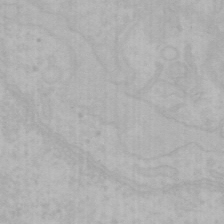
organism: Mouse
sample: Choroid plexus